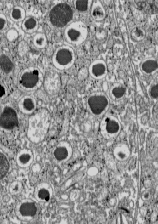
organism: C57BL Mouse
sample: Pancreatic islet